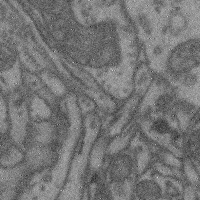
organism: Mouse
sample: Cerebral cortex